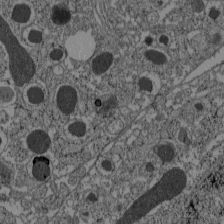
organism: C57BL Mouse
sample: Pancreatic islet